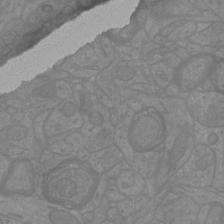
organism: Mouse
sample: Cortical neurons